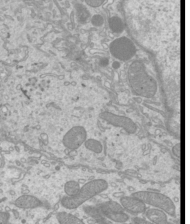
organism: Mouse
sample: Cilia; mouse epididymis